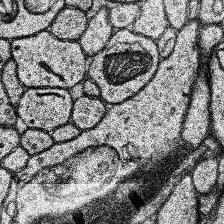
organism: Human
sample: Temporal Lobe